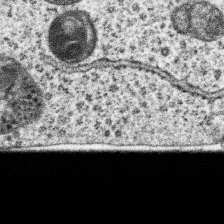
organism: Human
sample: HeLa cells